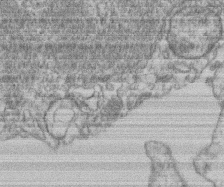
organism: Mouse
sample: T cell stromal cell synapse